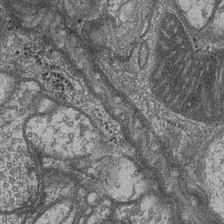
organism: Drosophila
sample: Optic medulla